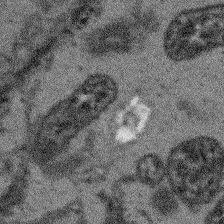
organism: Arabidopsis thaliana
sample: Root tip